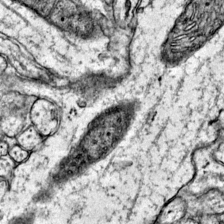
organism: Mouse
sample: Primary visual cortex